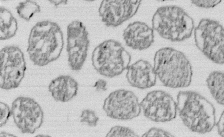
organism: E. coli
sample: Bacterial nucleoid